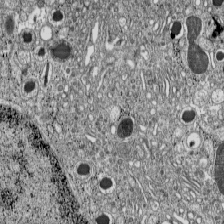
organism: C57BL Mouse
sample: Pancreatic islet